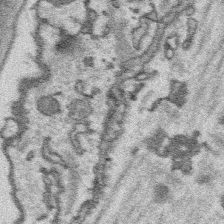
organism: Platynereis dumerilii